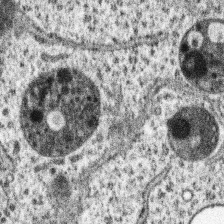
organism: Human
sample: HeLa cells